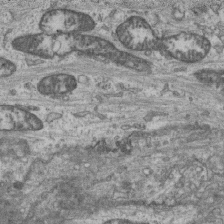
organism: Mouse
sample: Centriole in ependymal cells